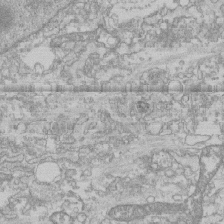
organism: Human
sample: CRL-1474